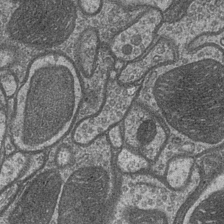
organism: Drosophila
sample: Optic medulla